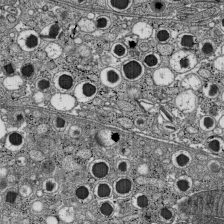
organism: C57BL Mouse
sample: Pancreatic islet